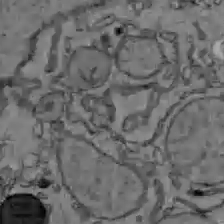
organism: C57BL Mouse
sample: Liver